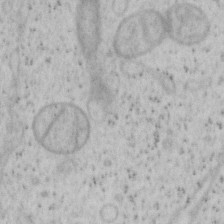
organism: Human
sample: HeLa cells